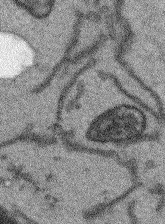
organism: Arabidopsis thaliana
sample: Root tip